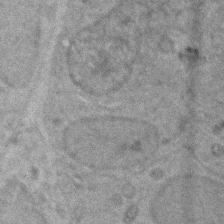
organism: Zebrafish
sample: Zebrafish embryo